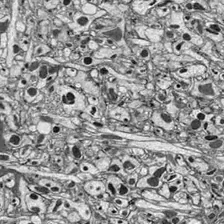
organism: Drosophila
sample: Optic lobe